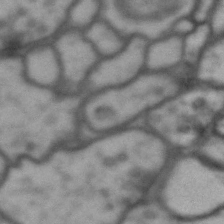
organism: Drosophila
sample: Brain